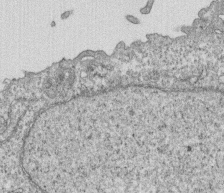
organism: Human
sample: HeLa cell HIV synapse